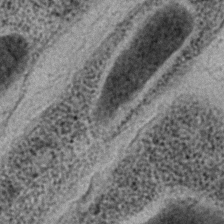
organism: C. elegans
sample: C. elegans embryo